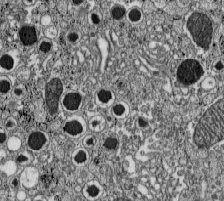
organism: C57BL Mouse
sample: Pancreatic islet